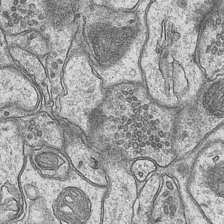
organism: Mouse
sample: CA1 Hippocampus